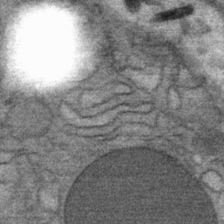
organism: Mouse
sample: Mouse Salivary gland